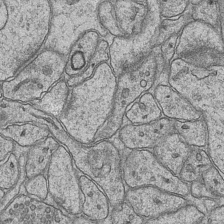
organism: Mouse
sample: CA1 Hippocampus